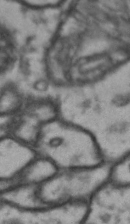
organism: Drosophila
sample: Brain